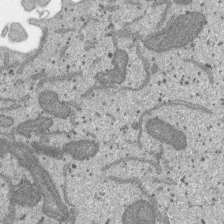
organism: Human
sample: Lung epithelial cells infected with SARS-CoV-2